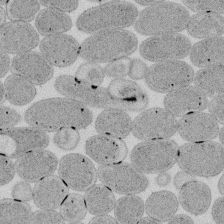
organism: E. coli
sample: Bacterial nucleoid